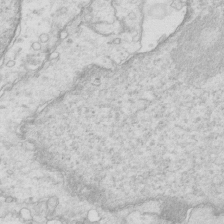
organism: Mouse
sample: Multiciliated cells